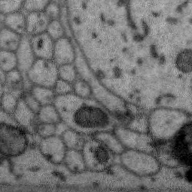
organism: Zebra finch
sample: Brain